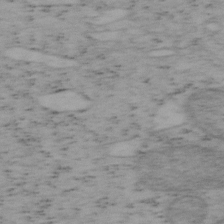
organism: Mouse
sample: OT-I killer T cells with ID8 ovarian cancer cells